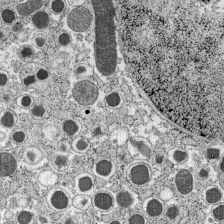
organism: C57BL Mouse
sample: Pancreatic islet